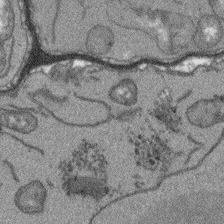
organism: Arabidopsis thaliana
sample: Root tip